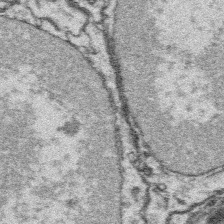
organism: Platynereis dumerilii